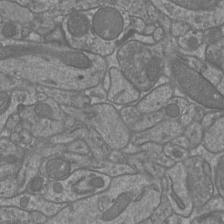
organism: Mouse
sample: Cortical neurons